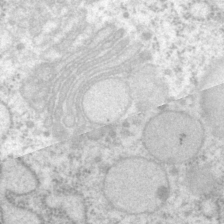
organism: P. pacificus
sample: Pharynx